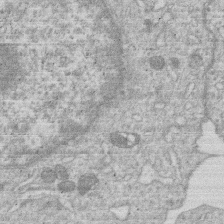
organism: Human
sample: Macrophage cells